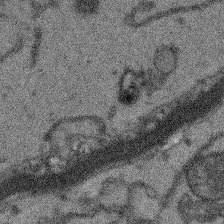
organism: Arabidopsis thaliana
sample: Root tip